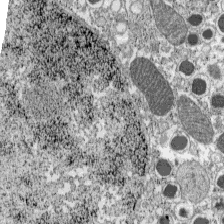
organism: C57BL Mouse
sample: Pancreatic islet